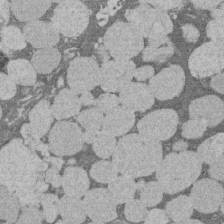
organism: Rat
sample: Salivary granule